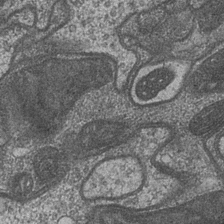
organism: Drosophila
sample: Optic medulla